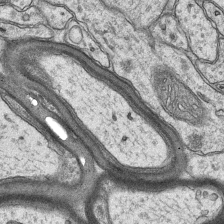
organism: Mouse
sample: CA1 Hippocampus